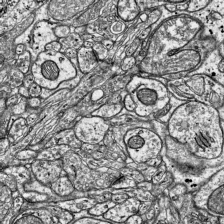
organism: Mouse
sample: Visual Cortex